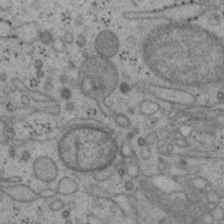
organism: Human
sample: HeLa cells